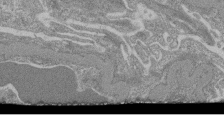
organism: Mouse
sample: Glomerulus